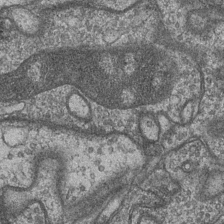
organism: Drosophila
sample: Optic medulla